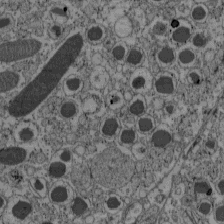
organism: C57BL Mouse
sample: Pancreatic islet